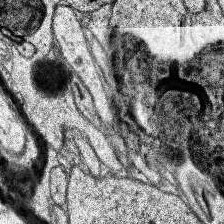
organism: Human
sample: Temporal Lobe